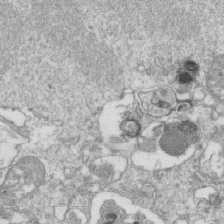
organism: Mouse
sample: Activated OT-1 CD8+ T cells